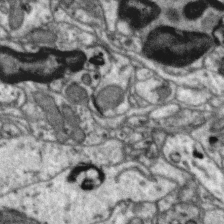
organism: Zebra finch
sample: Brain